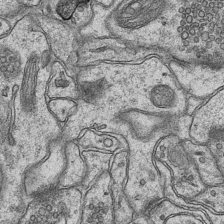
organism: Mouse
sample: CA1 Hippocampus